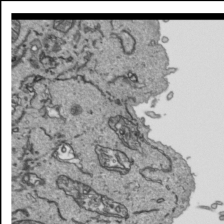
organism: Human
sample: Mitochondria in HCT116 cells